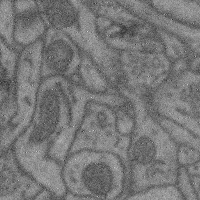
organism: Mouse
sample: Cerebral cortex